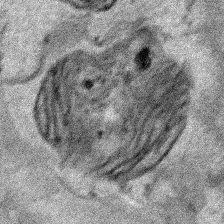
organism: Human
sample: Mitochondria in HCT116 cells